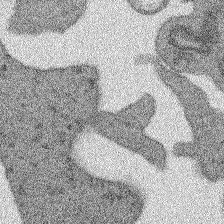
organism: Human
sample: HeLa cells